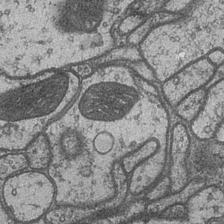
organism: Drosophila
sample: Optic medulla